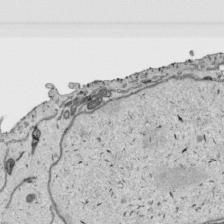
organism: Human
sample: Mitochondria in HCT116 cells